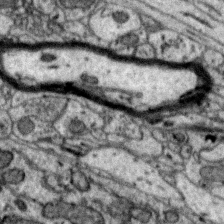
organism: Zebra finch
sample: Brain